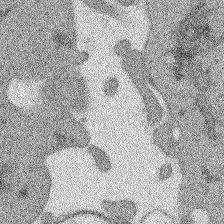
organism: Human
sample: HeLa cells